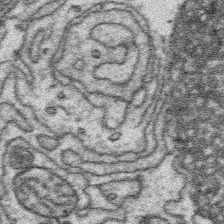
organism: Platynereis dumerilii